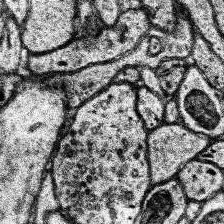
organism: Human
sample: Temporal Lobe